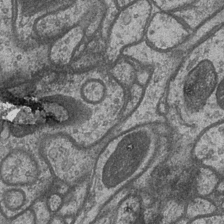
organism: Drosophila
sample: Optic medulla